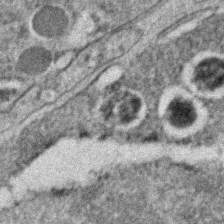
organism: C. elegans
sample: C. elegans embryo